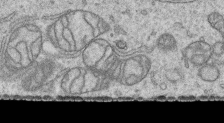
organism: Human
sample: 1205lu cells